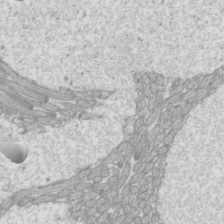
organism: Mouse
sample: Cilia; mouse epididymis